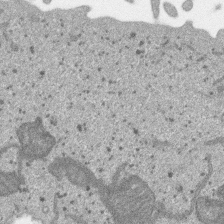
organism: Human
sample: Lung epithelial cells infected with SARS-CoV-2